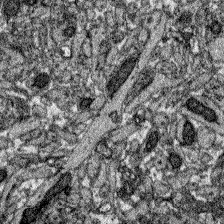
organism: Zebrafish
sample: Larval olfactory bulb